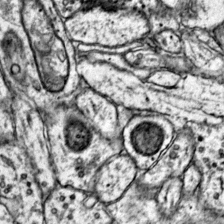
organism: Mouse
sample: Primary visual cortex